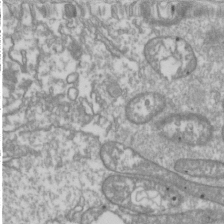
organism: Drosophila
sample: Cell division; meiosis; drosophila spermatocytes